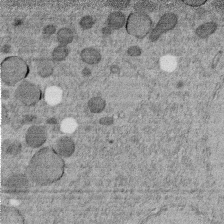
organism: C. elegans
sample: C. elegans embryo early stage